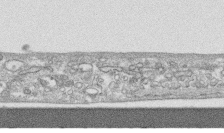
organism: Human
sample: CRL-1474